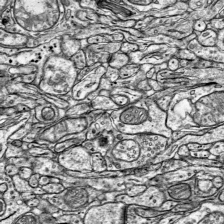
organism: Mouse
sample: Visual Cortex